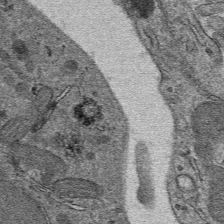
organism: Mouse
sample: Mouse hepatocytes